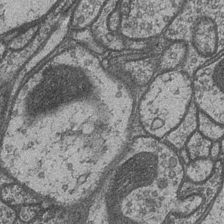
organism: Drosophila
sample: Optic medulla